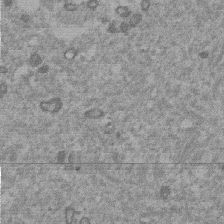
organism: Mouse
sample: Dividing mouse embryo 1 cell stage